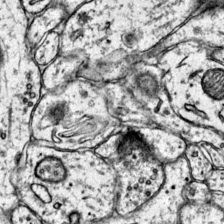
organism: Mouse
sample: Primary visual cortex